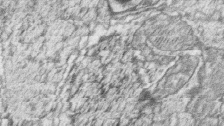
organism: Zebrafish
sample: synaptic ribbons in rod cells and cone cells